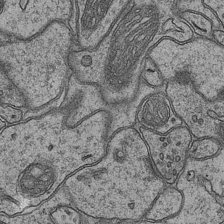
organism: Mouse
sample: CA1 Hippocampus